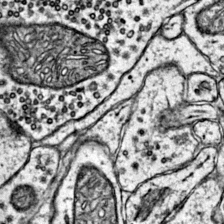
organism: Mouse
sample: Primary visual cortex